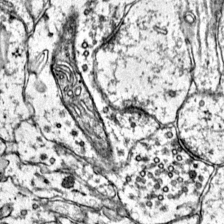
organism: Mouse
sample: Primary visual cortex